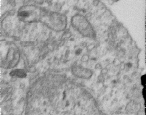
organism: Human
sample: Centriole in RPE cells